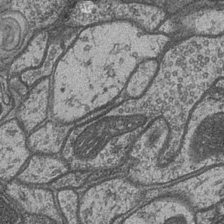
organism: Drosophila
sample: Optic medulla